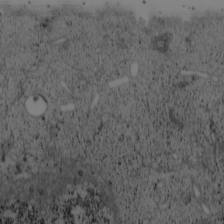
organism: African green monkey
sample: COS-7 cells